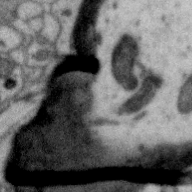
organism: Zebra finch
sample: Brain